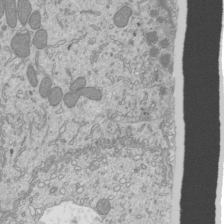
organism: Mouse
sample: Cilia; mouse epididymis